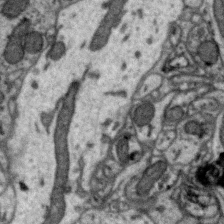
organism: Zebra finch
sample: Brain